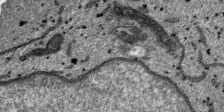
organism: Human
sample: Lung epithelial cells, uninfected (mock) control